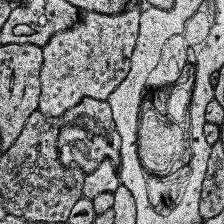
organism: Human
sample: Temporal Lobe